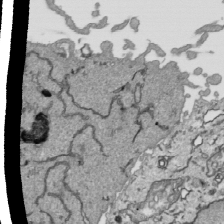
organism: Human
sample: Mitochondria in HCT116 cells